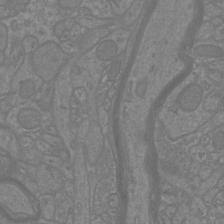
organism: Mouse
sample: Cortical neurons